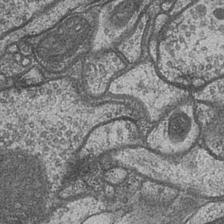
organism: Drosophila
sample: Optic medulla